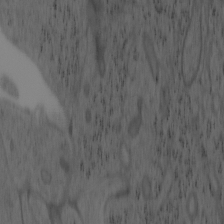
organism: Human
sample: HeLa cells